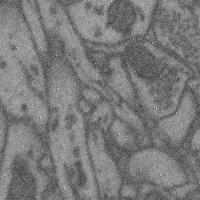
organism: Mouse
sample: Cerebral cortex